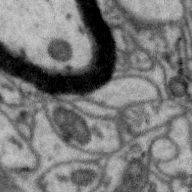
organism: Zebra finch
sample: Brain